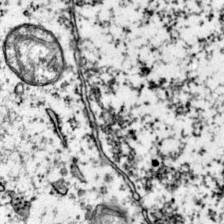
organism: Mouse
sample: Primary visual cortex